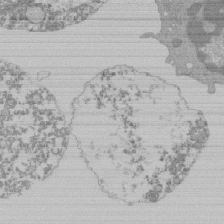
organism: Mouse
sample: Activated Pmel transgenic CD8+ T Cells